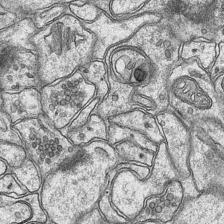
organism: Mouse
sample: CA1 Hippocampus